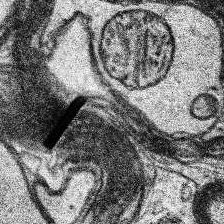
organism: Human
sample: Temporal Lobe